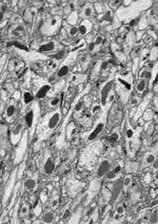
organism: Drosophila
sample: Optic lobe